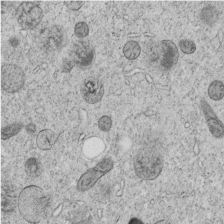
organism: C. elegans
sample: C. elegans embryo early stage